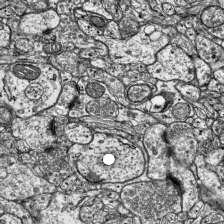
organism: Mouse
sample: Visual Cortex